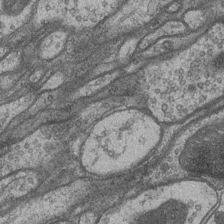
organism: Drosophila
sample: Optic medulla